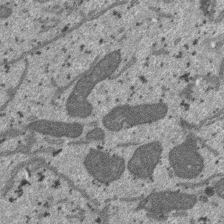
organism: Human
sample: Lung epithelial cells infected with SARS-CoV-2